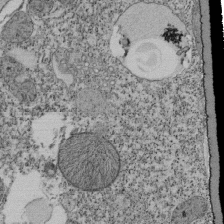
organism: Tetrahymena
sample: Cilia in tetrahymena